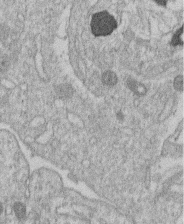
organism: Human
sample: Macrophage cells